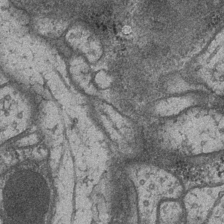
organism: Drosophila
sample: Optic medulla